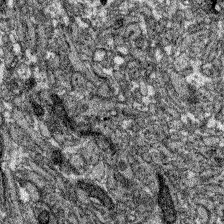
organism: Zebrafish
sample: Larval olfactory bulb